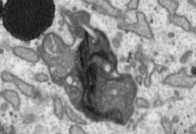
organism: Toxoplasma gondii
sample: Parasites in a vacuole inside a host cell